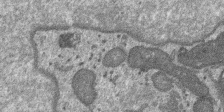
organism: Human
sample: Lung epithelial cells infected with SARS-CoV-2